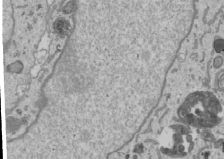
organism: Human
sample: Mitochondria in U2OS cells